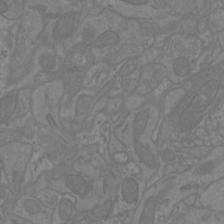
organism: Mouse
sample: Cortical neurons